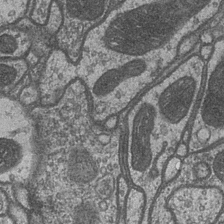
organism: Drosophila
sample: Optic medulla